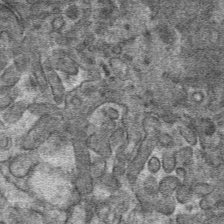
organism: Mouse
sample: Mouse hepatocytes